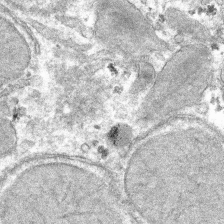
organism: Mouse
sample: Mouse hepatocytes